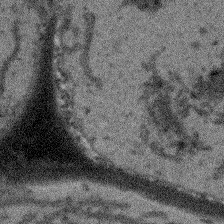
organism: Arabidopsis thaliana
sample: Root tip